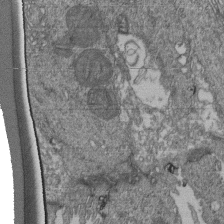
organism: Human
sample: Retinal organoid Rod and Cone cells